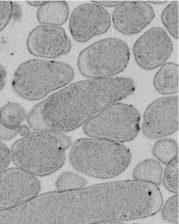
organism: E. coli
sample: Bacterial nucleoid